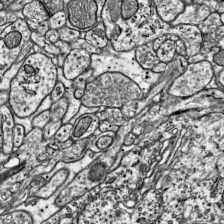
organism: Mouse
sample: Visual Cortex